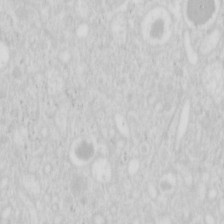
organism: Mouse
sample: Pancreas